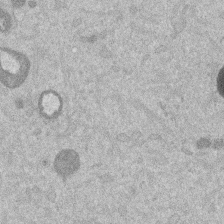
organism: Mouse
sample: Dividing mouse embryo 1 cell stage